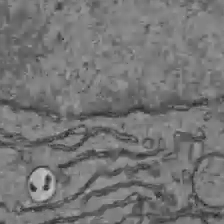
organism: C57BL Mouse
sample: Liver